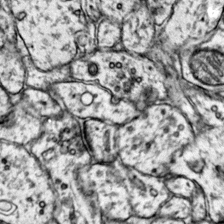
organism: Mouse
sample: Primary visual cortex